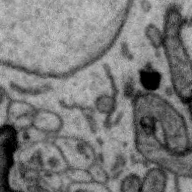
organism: Zebra finch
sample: Brain